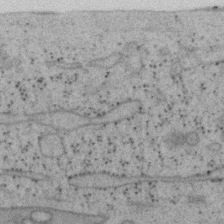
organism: Human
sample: HeLa cells